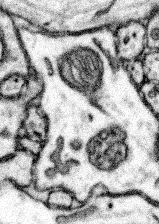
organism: Mouse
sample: Somatosensory cortex neuropil